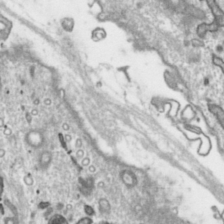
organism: Toxoplasma gondii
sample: Parasites in a vacuole inside a host cell